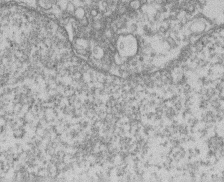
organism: Mouse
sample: T cell stromal cell synapse